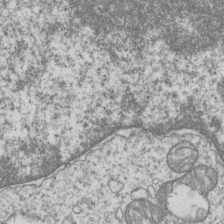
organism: Human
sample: MDA-MB-231 cells